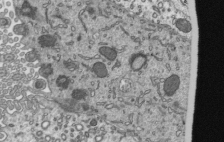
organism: Mouse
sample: Mouse epididymis efferent ductule cilia